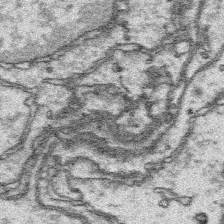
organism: Platynereis dumerilii